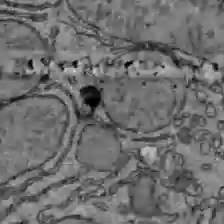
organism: C57BL Mouse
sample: Liver